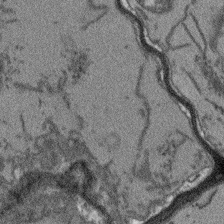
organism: Arabidopsis thaliana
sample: Root tip